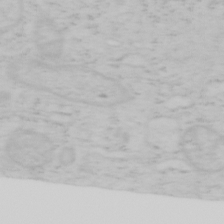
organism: Mouse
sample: OT-I killer T cells with ID8 ovarian cancer cells